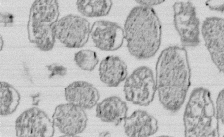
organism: E. coli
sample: Bacterial nucleoid